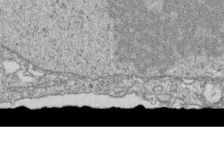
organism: Human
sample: HeLa cell HIV synapse